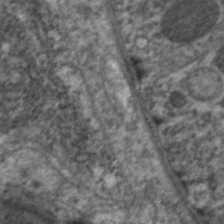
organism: C. elegans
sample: Pharynx